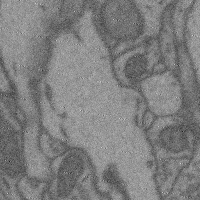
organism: Mouse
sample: Cerebral cortex